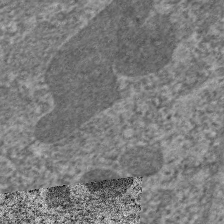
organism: C. elegans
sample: Pharynx